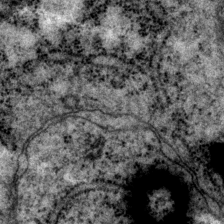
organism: P. pacificus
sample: Pharynx